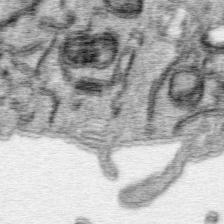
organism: Human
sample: HeLa cells